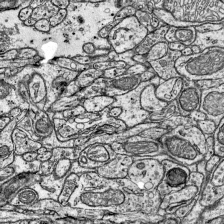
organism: Mouse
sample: Visual Cortex